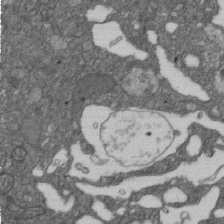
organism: Drosophila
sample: Nephrocyte